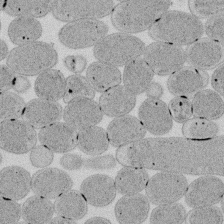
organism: E. coli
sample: Bacterial nucleoid